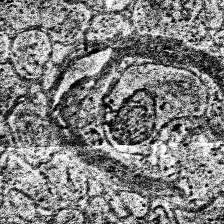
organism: Human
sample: Temporal Lobe